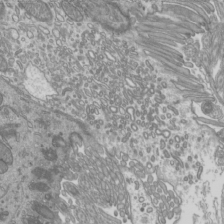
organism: Mouse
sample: Cilia; mouse epididymis